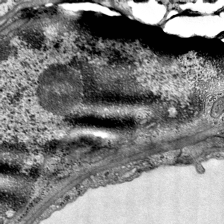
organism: Mouse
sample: Visual Cortex